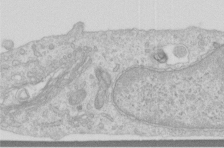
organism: Human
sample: Centriole in RPE cells